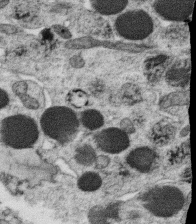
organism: C. elegans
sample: C. elegans oocyte; sperm cells